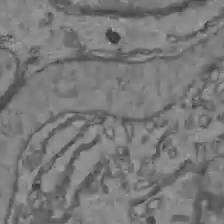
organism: C57BL Mouse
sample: Liver